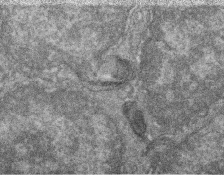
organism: Zebrafish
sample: Cilia; retinal pigment epithelium